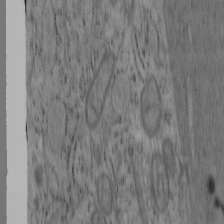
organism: Human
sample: HeLa cells